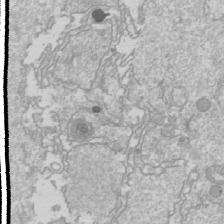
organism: Drosophila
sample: Cell division; meiosis; drosophila spermatocytes